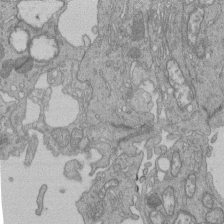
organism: Human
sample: Retinal organoid Rod and Cone cells